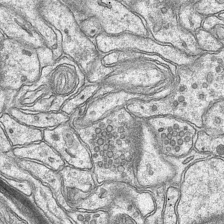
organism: Mouse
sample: CA1 Hippocampus